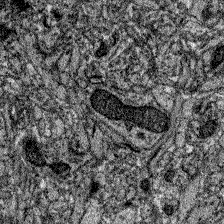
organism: Zebrafish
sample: Larval olfactory bulb